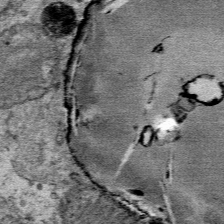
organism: Mouse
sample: Mouse Salivary gland